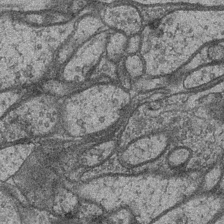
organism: Drosophila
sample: Optic medulla